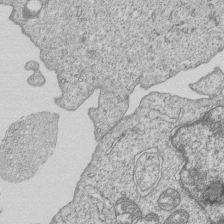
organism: Human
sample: MDA-MB-231 cells